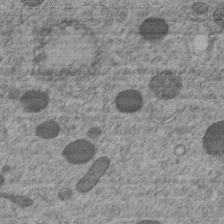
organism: C. elegans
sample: C. elegans embryo early stage